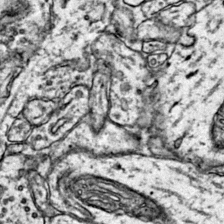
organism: Mouse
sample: Primary visual cortex